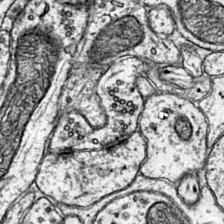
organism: Mouse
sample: Primary visual cortex